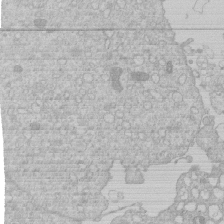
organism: Human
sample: Macrophage cells